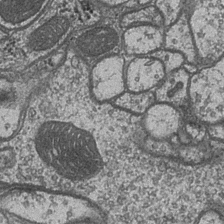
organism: Drosophila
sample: Optic medulla